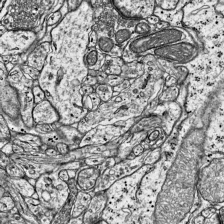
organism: Mouse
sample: Visual Cortex